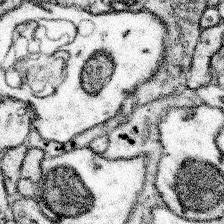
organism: Mouse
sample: Somatosensory cortex neuropil